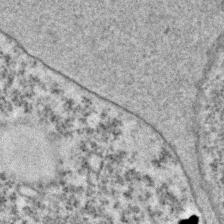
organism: C. elegans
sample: C. elegans embryo